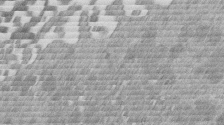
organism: Mouse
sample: Dividing mouse embryo 1 cell stage